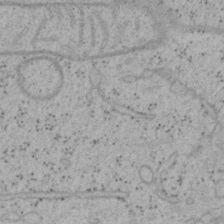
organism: Human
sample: HeLa cells